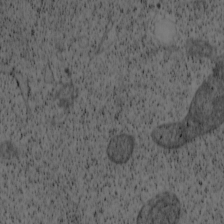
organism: African green monkey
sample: COS-7 cells